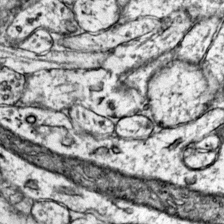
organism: Mouse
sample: Primary visual cortex